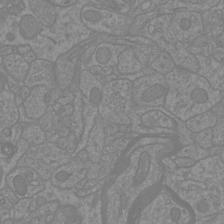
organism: Mouse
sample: Cortical neurons